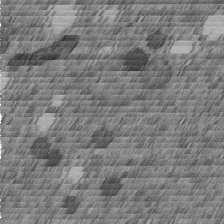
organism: C. elegans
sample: C. elegans embryo early stage